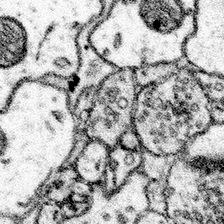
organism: Mouse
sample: Somatosensory cortex neuropil